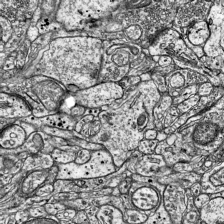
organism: Mouse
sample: Visual Cortex